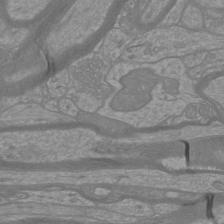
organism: Mouse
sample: Cortical neurons